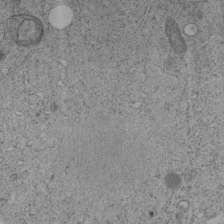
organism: C. elegans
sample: C. elegans embryo early stage